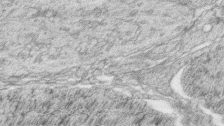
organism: Zebrafish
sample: synaptic ribbons in rod cells and cone cells